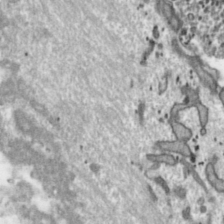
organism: Toxoplasma gondii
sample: Parasites in a vacuole inside a host cell